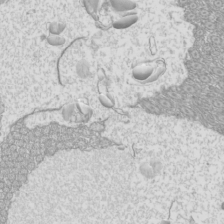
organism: Mouse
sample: Cilia; mouse epididymis